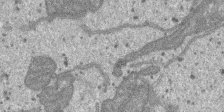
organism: Human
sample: Lung epithelial cells infected with SARS-CoV-2